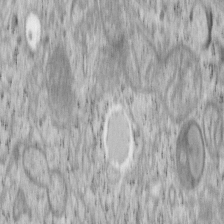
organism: Human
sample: HeLa cells